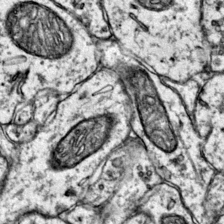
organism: Mouse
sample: Primary visual cortex